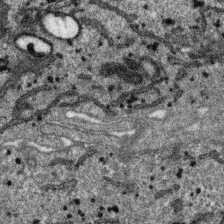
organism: Human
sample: Lung epithelial cells infected with SARS-CoV-2